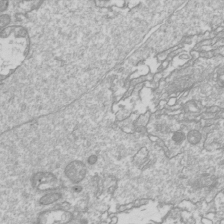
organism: Drosophila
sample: Cell division; meiosis; drosophila spermatocytes